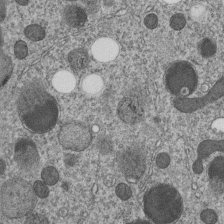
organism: C. elegans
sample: C. elegans embryo early stage